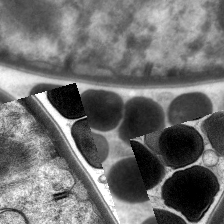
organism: C. elegans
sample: Pharynx